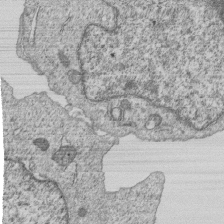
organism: Human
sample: MDA-MB-231 cells